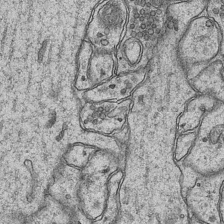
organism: Mouse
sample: CA1 Hippocampus